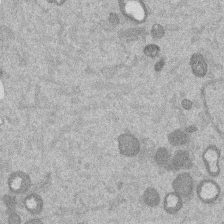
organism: Mouse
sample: Dividing mouse embryo 1 cell stage